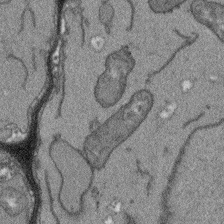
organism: Arabidopsis thaliana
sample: Root tip